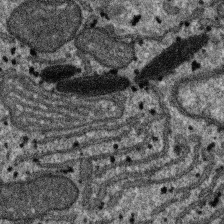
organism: Human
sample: Lung epithelial cells infected with SARS-CoV-2